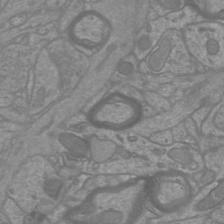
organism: Mouse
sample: Cortical neurons